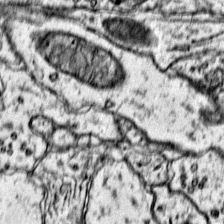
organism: Mouse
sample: Primary visual cortex